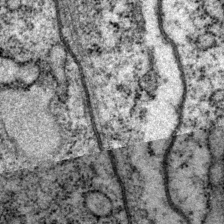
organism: P. pacificus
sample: Pharynx